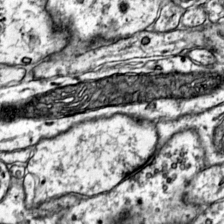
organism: Mouse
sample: Primary visual cortex